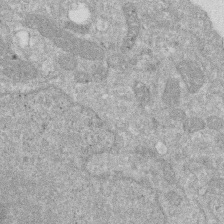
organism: Human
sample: HIV infected U937 cells